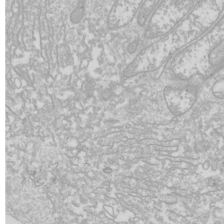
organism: Drosophila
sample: Cell division; meiosis; drosophila spermatocytes